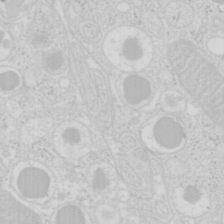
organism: Mouse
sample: Pancreas